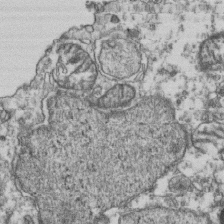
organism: Human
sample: Activated Jurkat CD4+ T cells